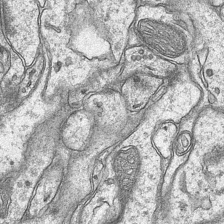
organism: Mouse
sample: CA1 Hippocampus